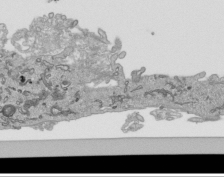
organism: Human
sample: Mitochondria in HCT116 cells